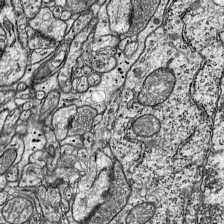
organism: Mouse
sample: Visual Cortex